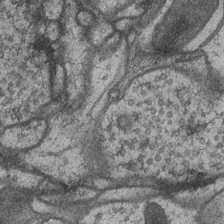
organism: Drosophila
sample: Optic medulla